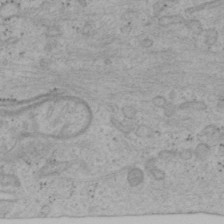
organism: Human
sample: HeLa cells